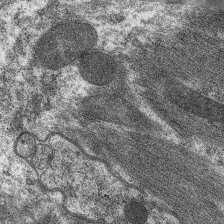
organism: C. elegans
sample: Pharynx